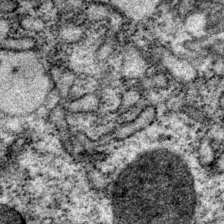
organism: P. pacificus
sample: Pharynx